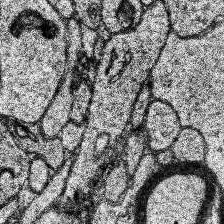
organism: Human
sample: Temporal Lobe